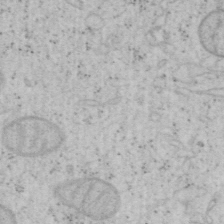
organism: Human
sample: HeLa cells